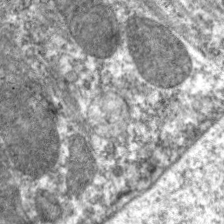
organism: C. elegans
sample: Pharynx